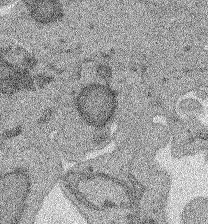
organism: Human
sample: HeLa cells